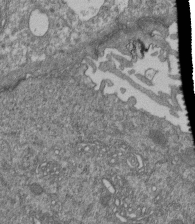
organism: Human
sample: Retinal organoid Rod and Cone cells